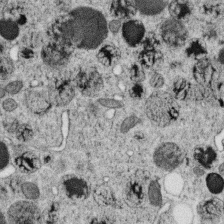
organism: C. elegans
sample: C. elegans oocyte; sperm cells